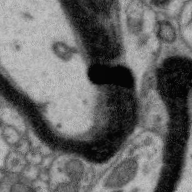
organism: Zebra finch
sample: Brain